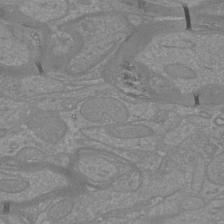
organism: Mouse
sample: Cortical neurons